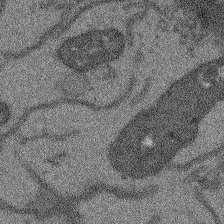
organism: Arabidopsis thaliana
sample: Root tip